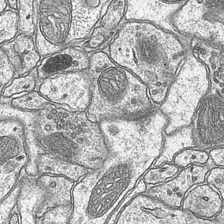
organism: Mouse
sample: CA1 Hippocampus